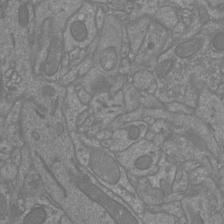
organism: Mouse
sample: Cortical neurons